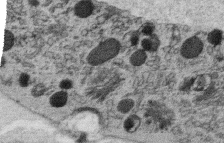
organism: C. elegans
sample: C. elegans oocyte; sperm cells